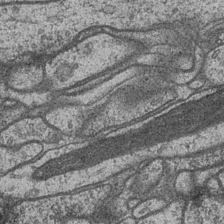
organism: Drosophila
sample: Optic medulla